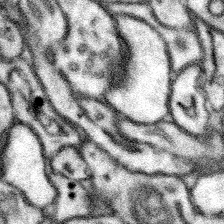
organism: Mouse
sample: Somatosensory cortex neuropil